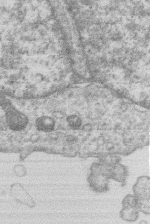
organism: Human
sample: Macrophage cells